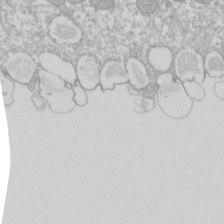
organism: Xenopus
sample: Cilia; centrioles in frog embryo cells